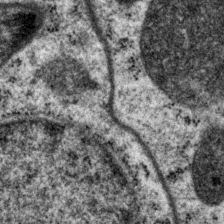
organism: P. pacificus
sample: Pharynx